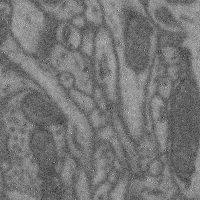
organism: Mouse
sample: Cerebral cortex